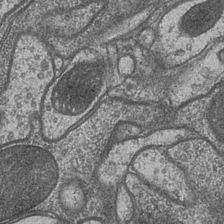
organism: Drosophila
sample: Optic medulla